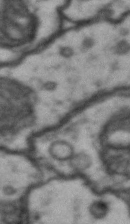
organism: Drosophila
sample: Brain